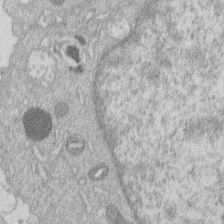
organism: Human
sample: Macrophage cells